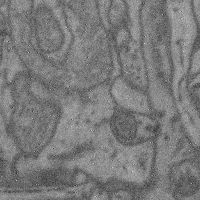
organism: Mouse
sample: Cerebral cortex